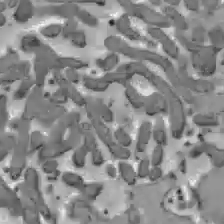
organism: C57BL Mouse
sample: Liver